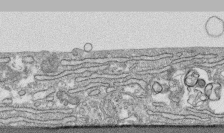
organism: Human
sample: CRL-1474